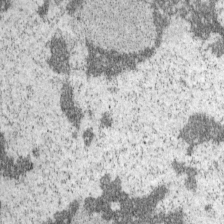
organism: Mouse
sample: OT-I killer T cells with ID8 ovarian cancer cells